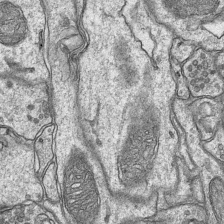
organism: Mouse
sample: CA1 Hippocampus